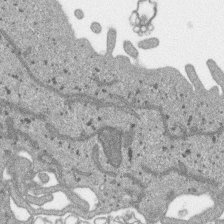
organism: Human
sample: Lung epithelial cells infected with SARS-CoV-2